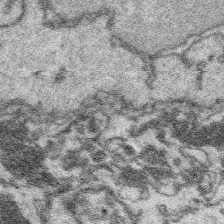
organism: Platynereis dumerilii